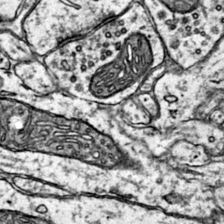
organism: Mouse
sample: Primary visual cortex